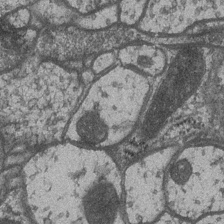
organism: Drosophila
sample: Optic medulla